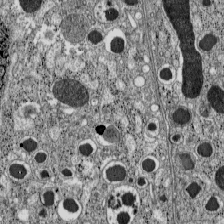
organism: C57BL Mouse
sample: Pancreatic islet